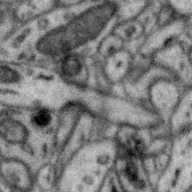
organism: Zebra finch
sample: Brain